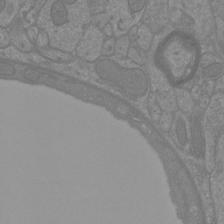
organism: Mouse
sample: Cortical neurons